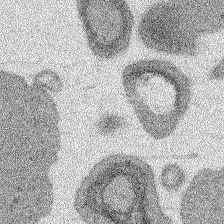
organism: Human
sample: HeLa cells